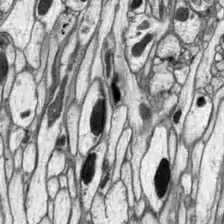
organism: Drosophila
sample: Optic lobe